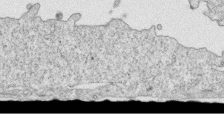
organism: Human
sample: HeLa cell HIV synapse